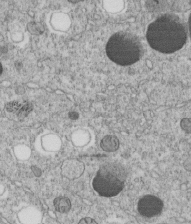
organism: C. elegans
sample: C. elegans embryo early stage